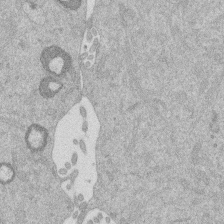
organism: Mouse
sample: Dividing mouse embryo 1 cell stage